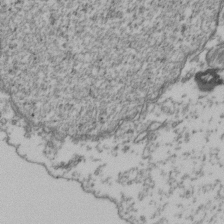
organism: Human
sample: Activated Jurkat CD4+ T cells